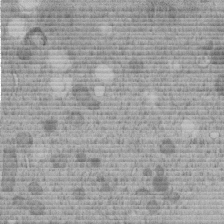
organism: C. elegans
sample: C. elegans embryo early stage